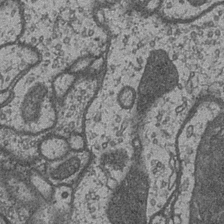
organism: Drosophila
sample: Optic medulla